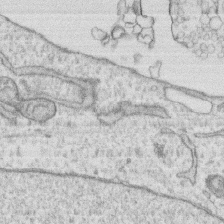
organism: Human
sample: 1205lu cells